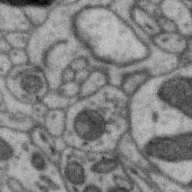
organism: Zebra finch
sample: Brain